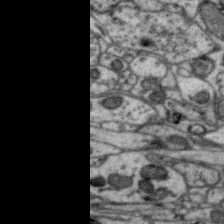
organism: Zebra finch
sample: Brain